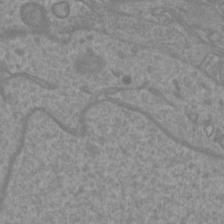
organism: Mouse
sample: Cortical neurons